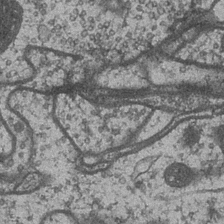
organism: Drosophila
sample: Optic medulla